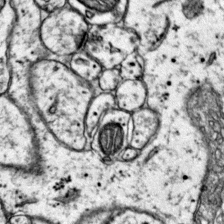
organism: Mouse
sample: Primary visual cortex